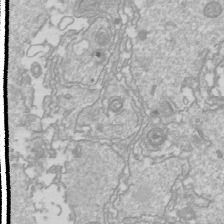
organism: Drosophila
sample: Cell division; meiosis; drosophila spermatocytes